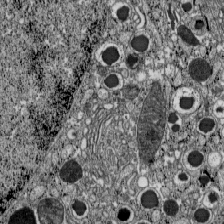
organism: C57BL Mouse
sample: Pancreatic islet